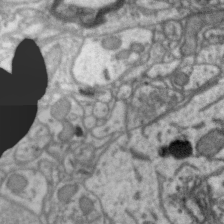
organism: Zebra finch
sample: Brain